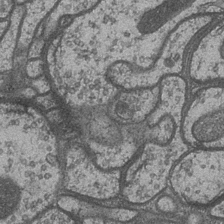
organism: Drosophila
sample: Optic medulla